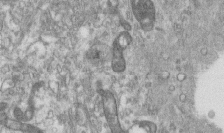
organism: Human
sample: Centriole in RPE cells